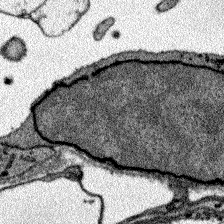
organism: Zebrafish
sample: Larval olfactory bulb